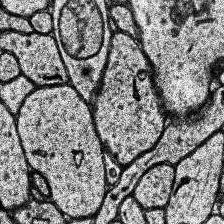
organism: Human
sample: Temporal Lobe